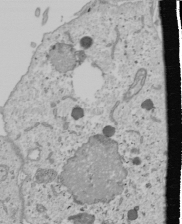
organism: Human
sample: Mitochondria in U2OS cells